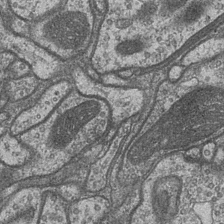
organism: Drosophila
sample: Optic medulla